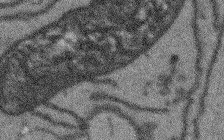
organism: Arabidopsis thaliana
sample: Root tip